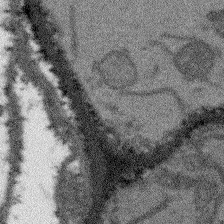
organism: Arabidopsis thaliana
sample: Root tip